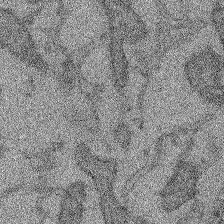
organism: Human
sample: HeLa cells